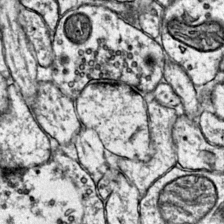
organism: Mouse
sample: Primary visual cortex